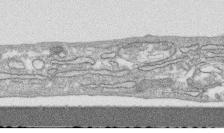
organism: Human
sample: CRL-1474